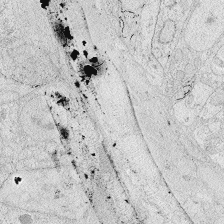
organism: Zebrafish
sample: Whole-Brain